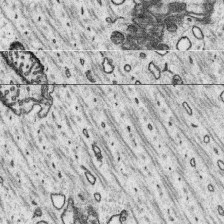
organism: Platynereis dumerilii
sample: Parapodia